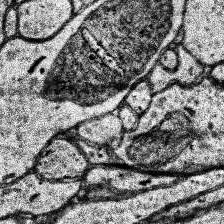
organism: Human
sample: Temporal Lobe